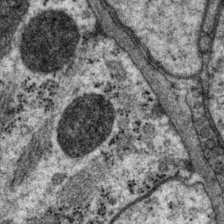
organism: P. pacificus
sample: Pharynx